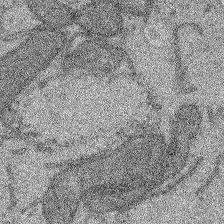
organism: Human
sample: HeLa cells